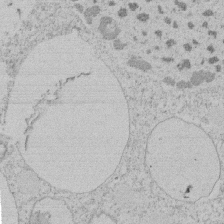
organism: Tetrahymena